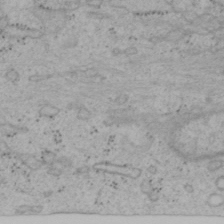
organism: Human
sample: HeLa cells